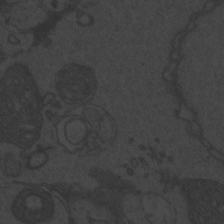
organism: Zebrafish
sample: Macrophage infected with Toxoplasma gondii